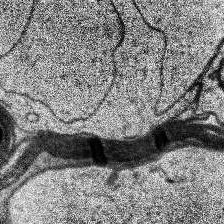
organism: Human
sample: Temporal Lobe